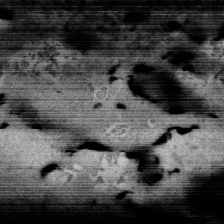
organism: Mouse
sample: Activated OT-1 CD8+ T cells